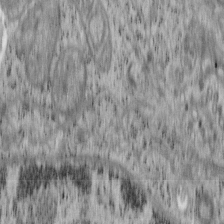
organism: Human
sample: HeLa cells